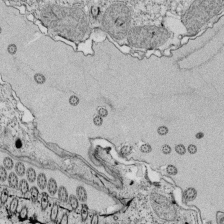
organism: Tetrahymena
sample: Cilia in tetrahymena